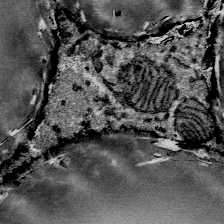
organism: Mouse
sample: Mouse Salivary gland